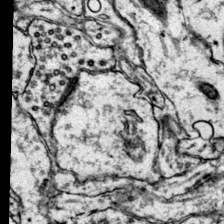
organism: Mouse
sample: Primary visual cortex